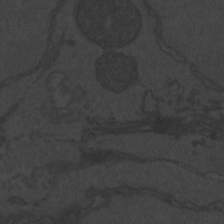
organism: Zebrafish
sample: Macrophage infected with Toxoplasma gondii